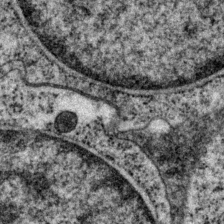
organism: P. pacificus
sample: Pharynx